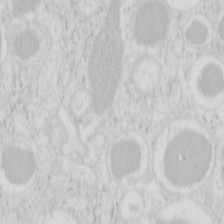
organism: Mouse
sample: Pancreas